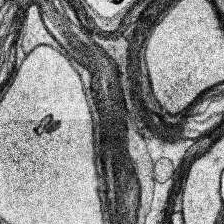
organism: Human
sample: Temporal Lobe